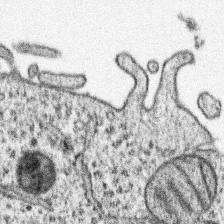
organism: Human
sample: HeLa cells